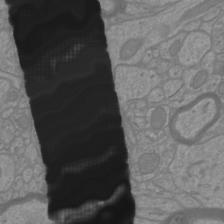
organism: Mouse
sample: Cortical neurons